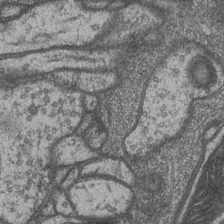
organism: Drosophila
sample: Optic medulla